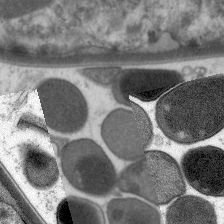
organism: C. elegans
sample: Pharynx